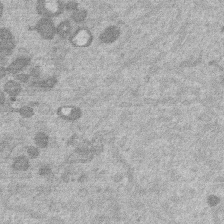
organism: Mouse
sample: Dividing mouse embryo 1 cell stage